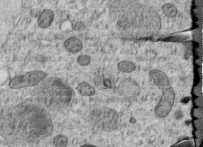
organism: C. elegans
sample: C. elegans embryo early stage